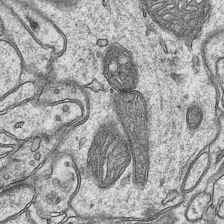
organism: Mouse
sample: CA1 Hippocampus